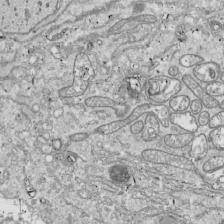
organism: Drosophila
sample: Cell division; meiosis; drosophila spermatocytes